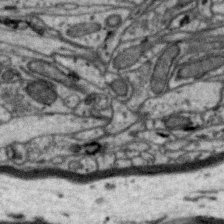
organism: Zebra finch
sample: Brain